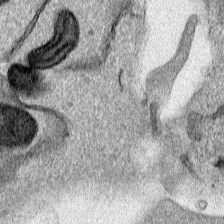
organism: Human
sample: Mitochondria in HCT116 cells